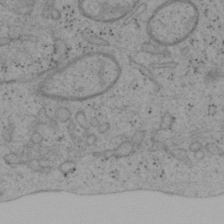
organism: Human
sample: HeLa cells